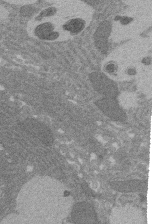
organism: Rat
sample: Salivary granule